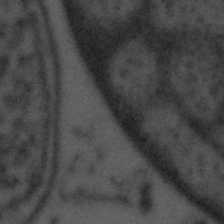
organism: Tuwongella immobilis